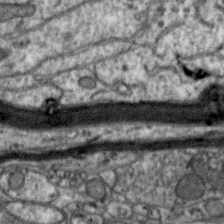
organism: Zebra finch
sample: Brain